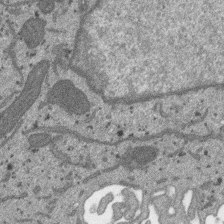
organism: Human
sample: Lung epithelial cells infected with SARS-CoV-2